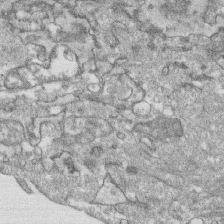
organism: Human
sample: CRL-1474